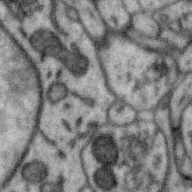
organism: Zebra finch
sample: Brain